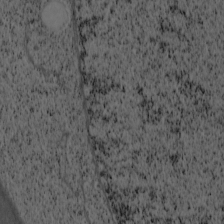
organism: African green monkey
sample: COS-7 cells